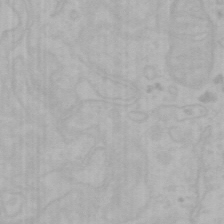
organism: Mouse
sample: Choroid plexus